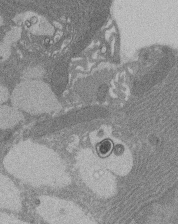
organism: Rat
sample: Salivary granule